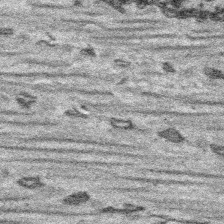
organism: Platynereis dumerilii